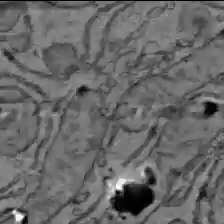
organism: C57BL Mouse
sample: Liver